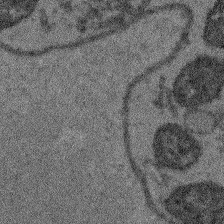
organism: Arabidopsis thaliana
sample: Root tip